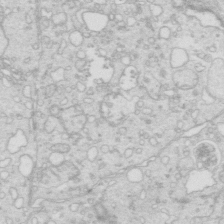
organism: Mouse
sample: Multiciliated cells